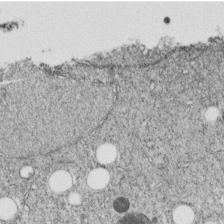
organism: C. elegans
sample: C. elegans embryo early stage